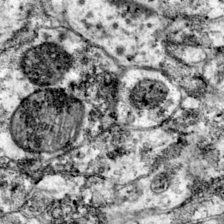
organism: Mouse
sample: Primary visual cortex